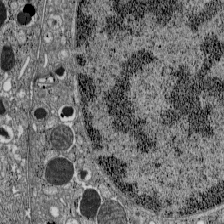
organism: C57BL Mouse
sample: Pancreatic islet